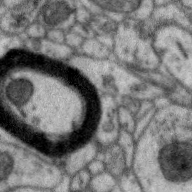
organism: Zebra finch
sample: Brain